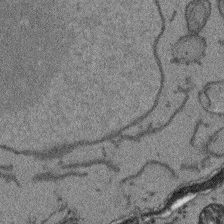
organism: Arabidopsis thaliana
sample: Root tip